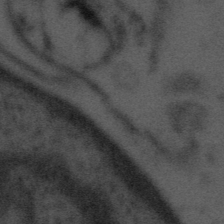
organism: Tuwongella immobilis